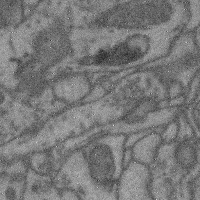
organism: Mouse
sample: Cerebral cortex